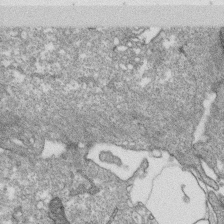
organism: African green monkey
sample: Vero E6 cells infected with SARS-CoV-2